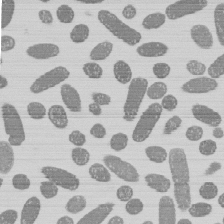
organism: E. coli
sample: Bacterial nucleoid